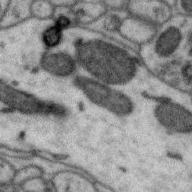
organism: Zebra finch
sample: Brain